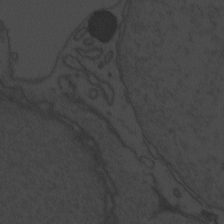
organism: Zebrafish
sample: Macrophage infected with Toxoplasma gondii